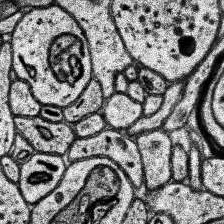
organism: Human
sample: Temporal Lobe